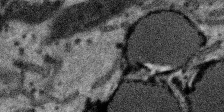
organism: Human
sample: Lung epithelial cells infected with SARS-CoV-2